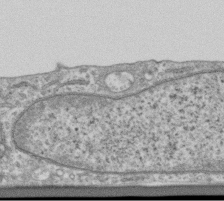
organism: Human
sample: Centriole in RPE cells